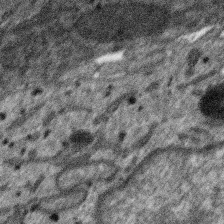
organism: Human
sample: Lung epithelial cells infected with SARS-CoV-2